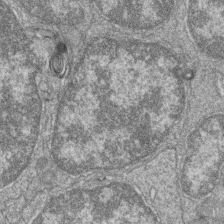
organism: Zebrafish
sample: Cilia; retinal pigment epithelium